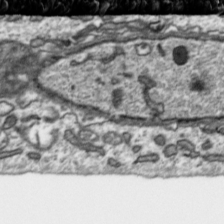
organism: Toxoplasma gondii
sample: Parasites in a vacuole inside a host cell